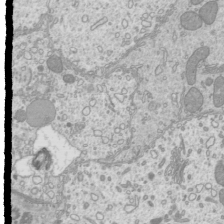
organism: Mouse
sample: Cilia; mouse epididymis